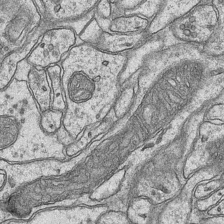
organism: Mouse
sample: CA1 Hippocampus